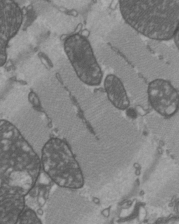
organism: C57BL Mouse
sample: Heart